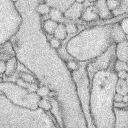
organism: Rabbit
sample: Retina